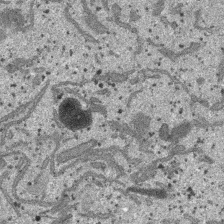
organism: Human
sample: Lung epithelial cells infected with SARS-CoV-2